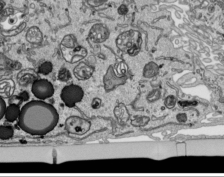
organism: Human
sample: Mitochondria in HCT116 cells